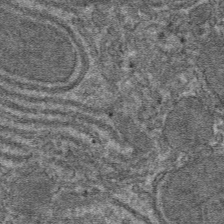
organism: Mouse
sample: Mouse hepatocytes